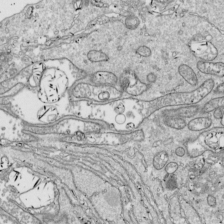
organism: Drosophila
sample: Cell division; meiosis; drosophila spermatocytes